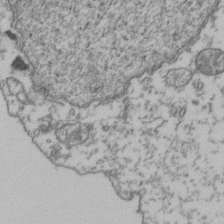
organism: Human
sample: Activated Jurkat CD4+ T cells